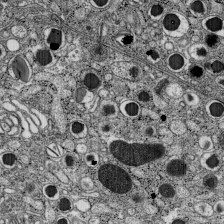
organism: C57BL Mouse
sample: Pancreatic islet